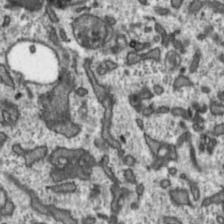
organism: Toxoplasma gondii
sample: Parasites in a vacuole inside a host cell